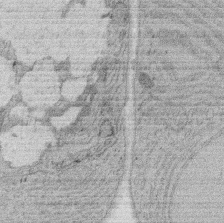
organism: Rat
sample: Salivary granule